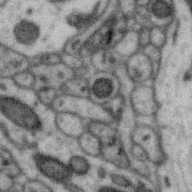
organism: Zebra finch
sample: Brain